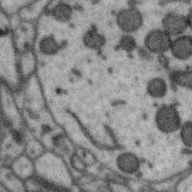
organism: Zebra finch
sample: Brain